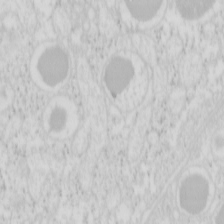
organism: Mouse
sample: Pancreas